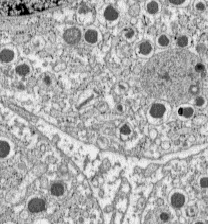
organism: C57BL Mouse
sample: Pancreatic islet